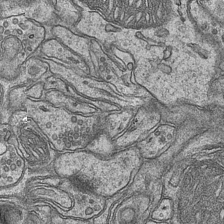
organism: Mouse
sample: CA1 Hippocampus